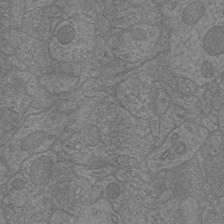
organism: Mouse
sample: Cortical neurons